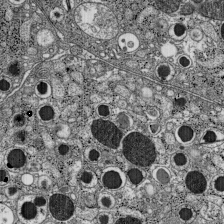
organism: C57BL Mouse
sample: Pancreatic islet